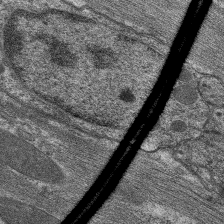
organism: C. elegans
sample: Pharynx